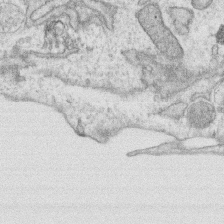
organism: Human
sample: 1205lu cells